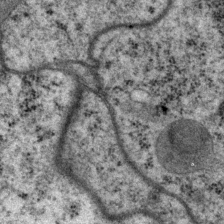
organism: P. pacificus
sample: Pharynx